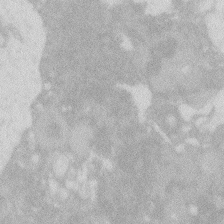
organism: Zebrafish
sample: Macrophage